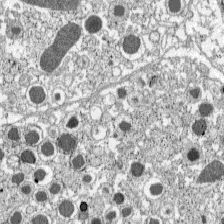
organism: C57BL Mouse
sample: Pancreatic islet